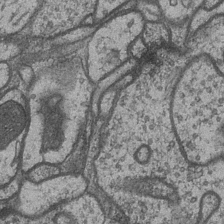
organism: Drosophila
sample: Optic medulla